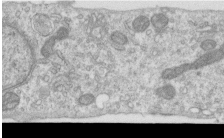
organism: Human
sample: Centriole in RPE cells